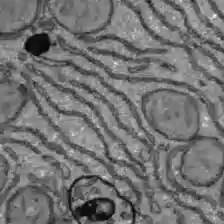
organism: C57BL Mouse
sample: Liver